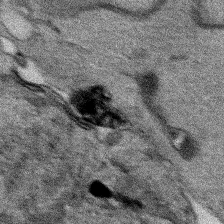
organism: Human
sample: Mitochondria in HCT116 cells